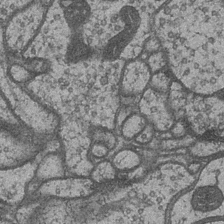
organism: Drosophila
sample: Optic medulla